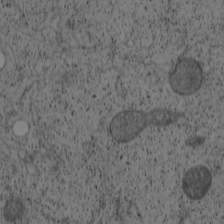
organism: African green monkey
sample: COS-7 cells